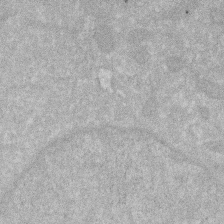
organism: Human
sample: HIV infected U937 cells